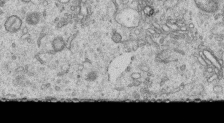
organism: Human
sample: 1205lu cells